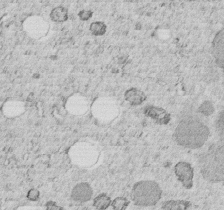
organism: C. elegans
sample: C. elegans embryo early stage